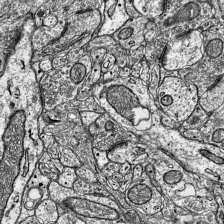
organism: Mouse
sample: Visual Cortex